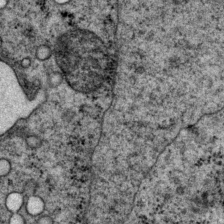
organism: P. pacificus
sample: Pharynx